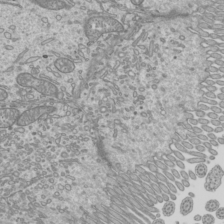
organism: Mouse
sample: Cilia; mouse epididymis